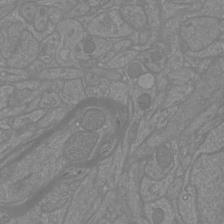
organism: Mouse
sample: Cortical neurons